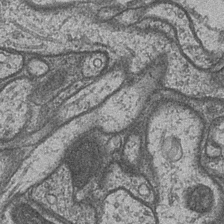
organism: Drosophila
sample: Optic medulla